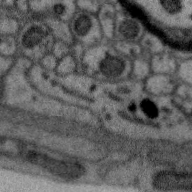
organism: Zebra finch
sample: Brain